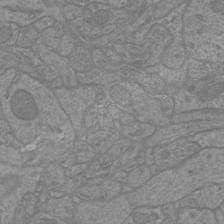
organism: Mouse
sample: Cortical neurons